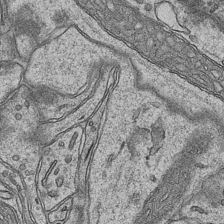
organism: Mouse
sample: CA1 Hippocampus